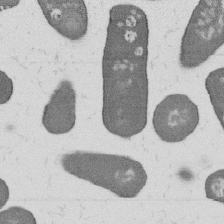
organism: B. subtilis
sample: Bacterial spore